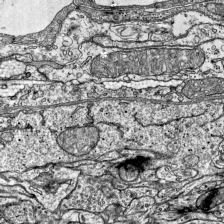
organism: Mouse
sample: Visual Cortex